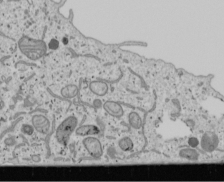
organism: Human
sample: Mitochondria in U2OS cells